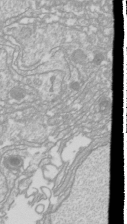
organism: Drosophila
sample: Cell division; meiosis; drosophila spermatocytes